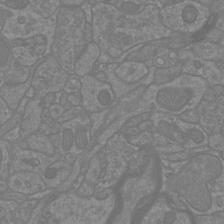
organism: Mouse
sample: Cortical neurons